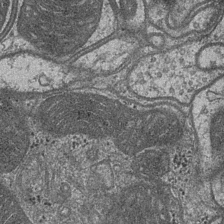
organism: Drosophila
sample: Optic medulla